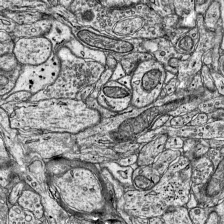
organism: Mouse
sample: Visual Cortex